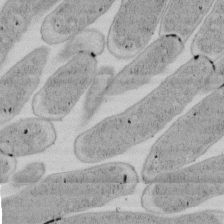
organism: E. coli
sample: Bacterial nucleoid